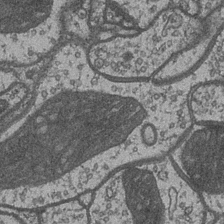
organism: Drosophila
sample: Optic medulla